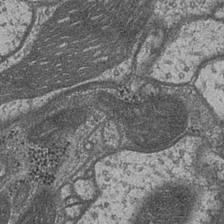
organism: Drosophila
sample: Optic medulla